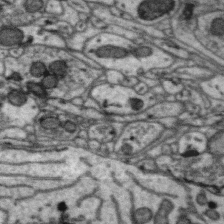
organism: Zebra finch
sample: Brain